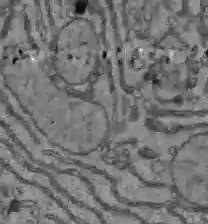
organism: C57BL Mouse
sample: Liver